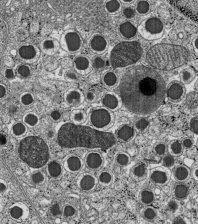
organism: C57BL Mouse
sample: Pancreatic islet